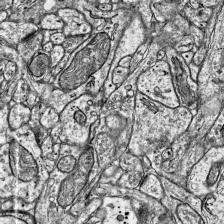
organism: Mouse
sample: Visual Cortex